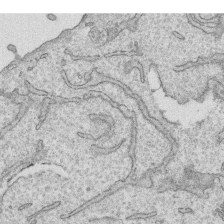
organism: Human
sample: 1205lu cells